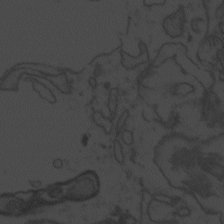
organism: Zebrafish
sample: Macrophage infected with Toxoplasma gondii